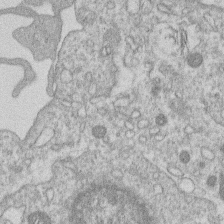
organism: Human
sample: Macrophage cells